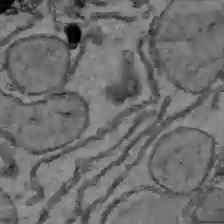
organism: C57BL Mouse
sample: Liver